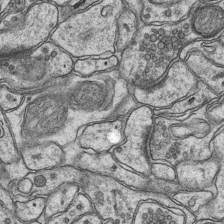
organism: Mouse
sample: CA1 Hippocampus